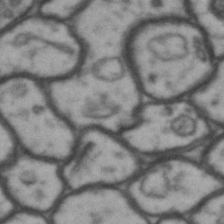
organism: Drosophila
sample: Brain